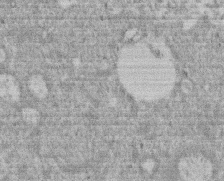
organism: Mouse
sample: Dividing mouse embryo 1 cell stage